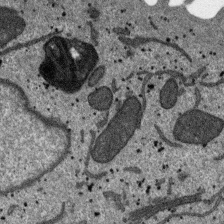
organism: Human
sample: Lung epithelial cells, uninfected (mock) control